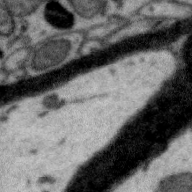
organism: Zebra finch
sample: Brain